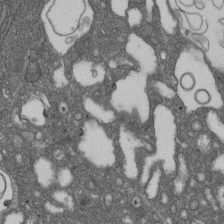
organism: Drosophila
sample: Nephrocyte